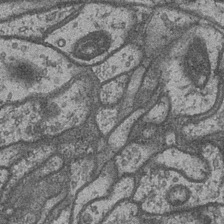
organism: Drosophila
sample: Optic medulla